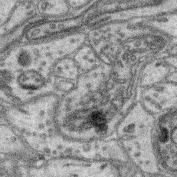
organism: Mouse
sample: Retina